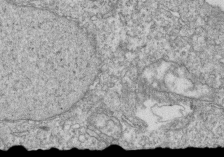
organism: Human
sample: HeLa cell HIV synapse